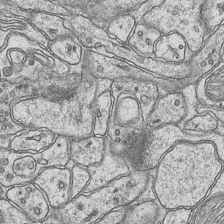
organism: Mouse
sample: CA1 Hippocampus